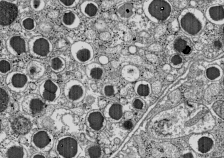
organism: C57BL Mouse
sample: Pancreatic islet